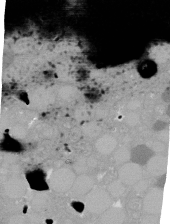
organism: C. elegans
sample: C. elegans oocyte; sperm cells